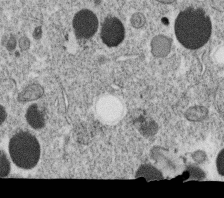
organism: C. elegans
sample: C. elegans oocyte; sperm cells